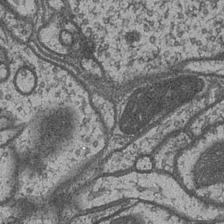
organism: Drosophila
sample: Optic medulla